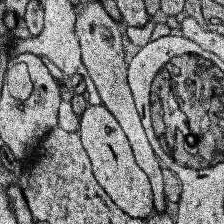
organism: Human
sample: Temporal Lobe